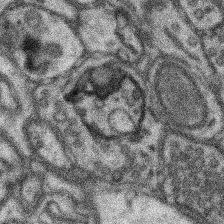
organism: Mouse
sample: Somatosensory cortex neuropil